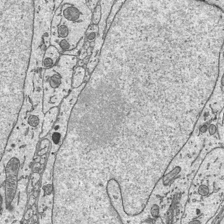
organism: Mouse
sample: Suprachiasmatic nucleus